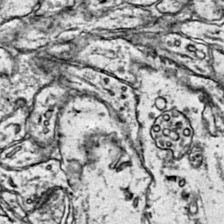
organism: Mouse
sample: Primary visual cortex